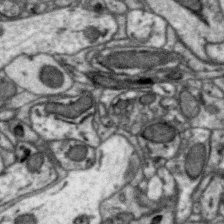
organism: Zebra finch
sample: Brain